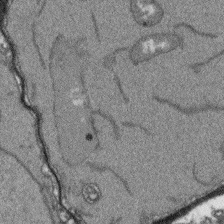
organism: Arabidopsis thaliana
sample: Root tip